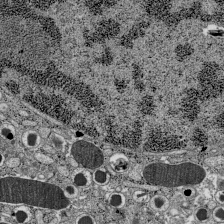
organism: C57BL Mouse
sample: Pancreatic islet